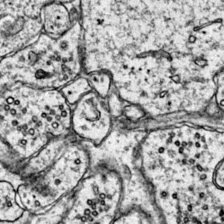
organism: Mouse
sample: Primary visual cortex